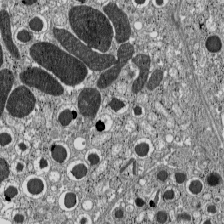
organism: C57BL Mouse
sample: Pancreatic islet